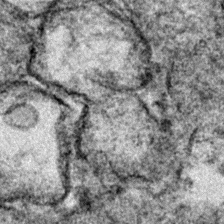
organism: Zebrafish